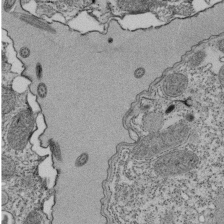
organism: Tetrahymena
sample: Cilia in tetrahymena